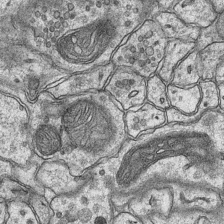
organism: Mouse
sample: CA1 Hippocampus